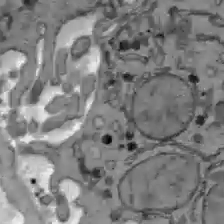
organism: C57BL Mouse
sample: Liver